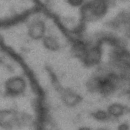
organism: Drosophila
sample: Brain